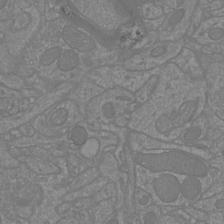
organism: Mouse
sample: Cortical neurons